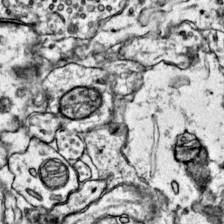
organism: Mouse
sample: Primary visual cortex